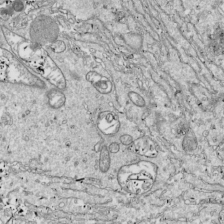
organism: Drosophila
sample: Cell division; meiosis; drosophila spermatocytes